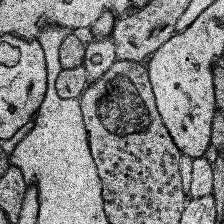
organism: Human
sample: Temporal Lobe